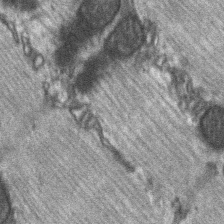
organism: C57BL Mouse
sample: Soleus